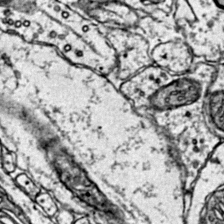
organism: Mouse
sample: Primary visual cortex